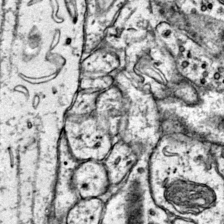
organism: Mouse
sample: Primary visual cortex